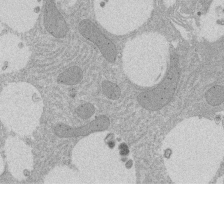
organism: Rat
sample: Salivary granule